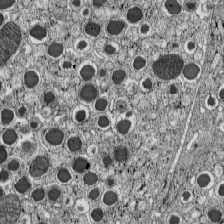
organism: C57BL Mouse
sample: Pancreatic islet